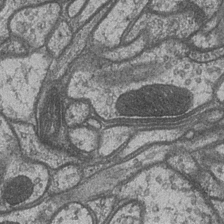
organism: Drosophila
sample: Optic medulla